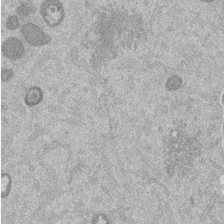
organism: Mouse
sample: Dividing mouse embryo 1 cell stage